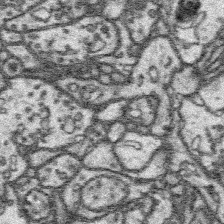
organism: Platynereis dumerilii